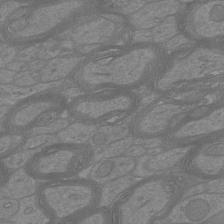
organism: Mouse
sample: Cortical neurons